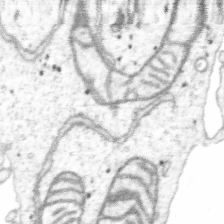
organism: Human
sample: HeLa cells